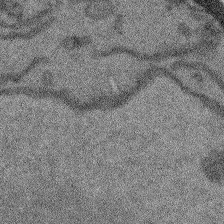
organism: Arabidopsis thaliana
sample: Root tip